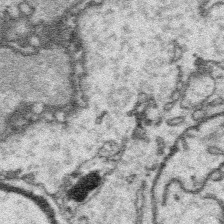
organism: Platynereis dumerilii